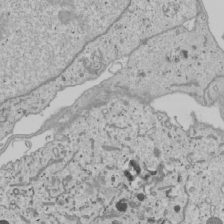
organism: Human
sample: Mitochondria in U2OS cells